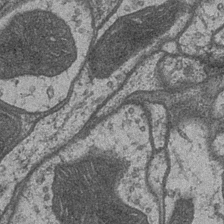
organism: Drosophila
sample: Optic medulla